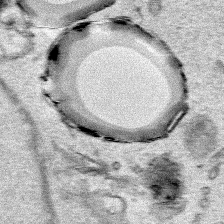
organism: Human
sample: Mitochondria in HCT116 cells